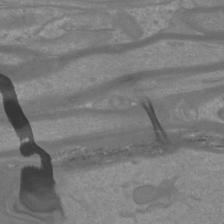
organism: Mouse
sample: Cortical neurons